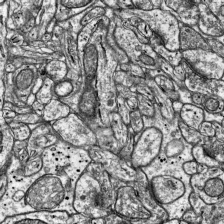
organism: Mouse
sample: Visual Cortex